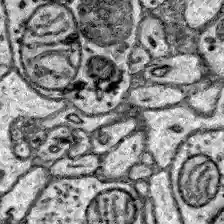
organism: Zebrafish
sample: Brain